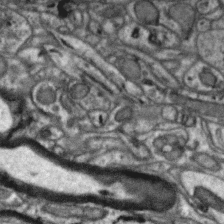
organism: Zebra finch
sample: Brain